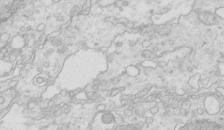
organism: Mouse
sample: Multiciliated cells